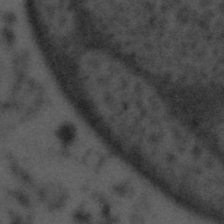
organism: Tuwongella immobilis